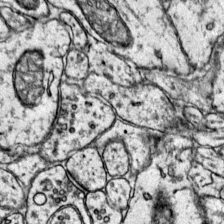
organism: Mouse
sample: Primary visual cortex